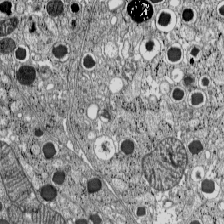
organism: C57BL Mouse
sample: Pancreatic islet